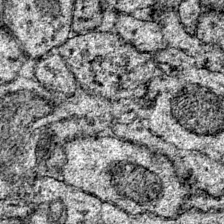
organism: Mouse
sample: Primary visual cortex